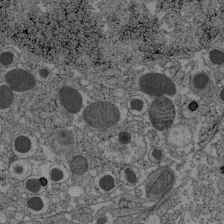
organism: C57BL Mouse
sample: Pancreatic islet